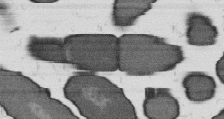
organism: B. subtilis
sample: Bacterial spore